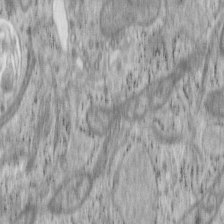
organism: Human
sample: HeLa cells